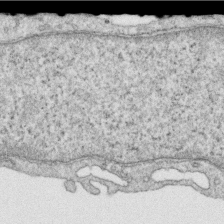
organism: Human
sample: Centriole in RPE cells